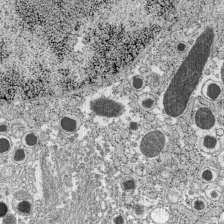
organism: C57BL Mouse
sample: Pancreatic islet